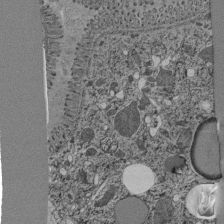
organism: C. elegans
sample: C. elegans pharynx